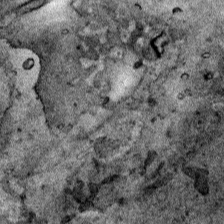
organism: Human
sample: Mitochondria in HCT116 cells